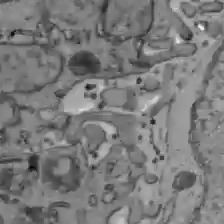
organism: C57BL Mouse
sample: Liver